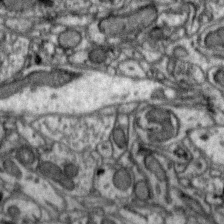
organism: Zebra finch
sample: Brain